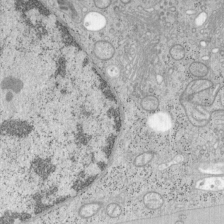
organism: Mouse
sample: OT-I killer T cells with ID8 ovarian cancer cells